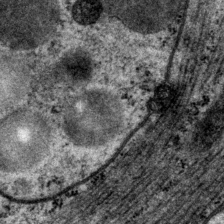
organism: P. pacificus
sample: Pharynx